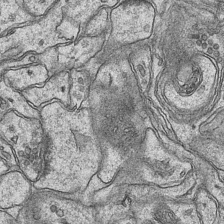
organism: Mouse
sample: CA1 Hippocampus